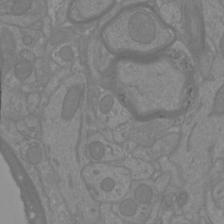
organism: Mouse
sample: Cortical neurons